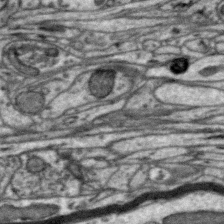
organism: Zebra finch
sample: Brain